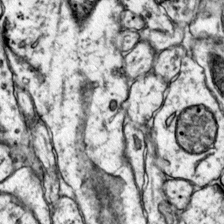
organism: Mouse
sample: Primary visual cortex